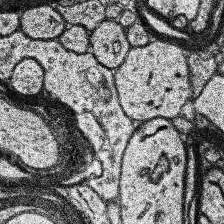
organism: Human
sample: Temporal Lobe